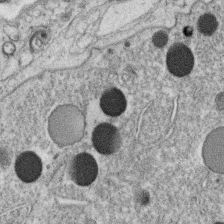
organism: C. elegans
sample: C. elegans oocyte; sperm cells